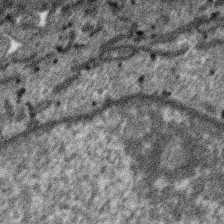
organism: Human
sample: Lung epithelial cells infected with SARS-CoV-2